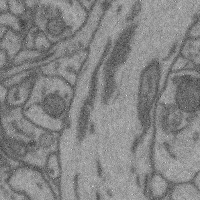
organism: Mouse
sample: Cerebral cortex